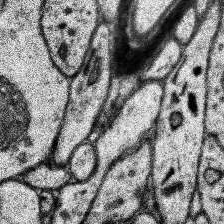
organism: Human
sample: Temporal Lobe